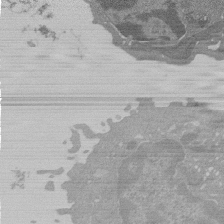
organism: Mouse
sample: Activated Pmel transgenic CD8+ T Cells